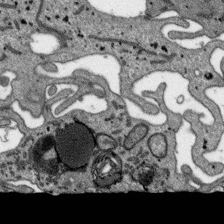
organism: Human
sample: Lung epithelial cells, uninfected (mock) control